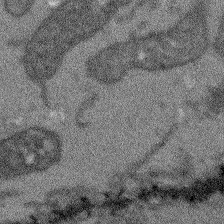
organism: Arabidopsis thaliana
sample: Root tip